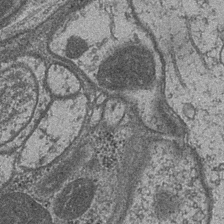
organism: Drosophila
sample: Optic medulla